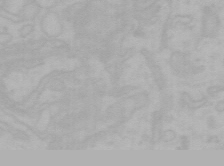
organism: Mouse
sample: Choroid plexus